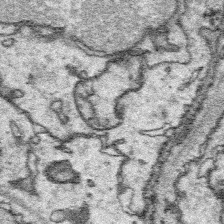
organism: Platynereis dumerilii